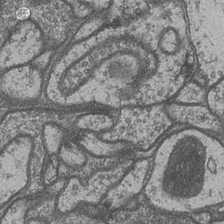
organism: Drosophila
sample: Optic medulla